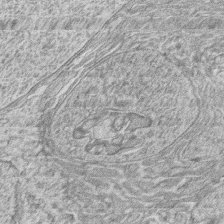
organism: Zebrafish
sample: synaptic ribbons in rod cells and cone cells